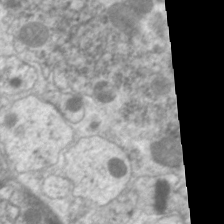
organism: C. elegans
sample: Pharynx